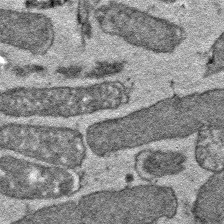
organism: E. coli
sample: E. Coli Bacteria